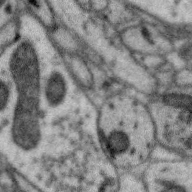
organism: Zebra finch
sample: Brain